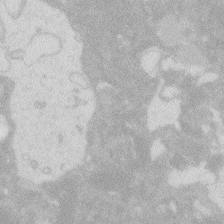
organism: Zebrafish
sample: Macrophage